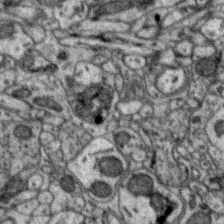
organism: Zebra finch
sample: Brain